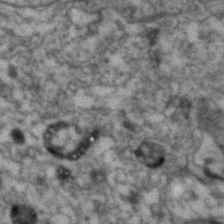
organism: Human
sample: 1205lu cells